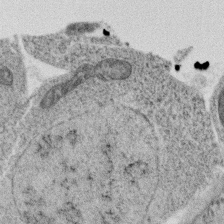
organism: C. elegans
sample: C. elegans oocyte; sperm cells